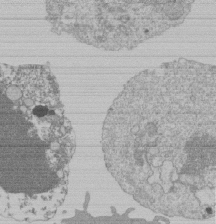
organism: Mouse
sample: Activated Pmel transgenic CD8+ T Cells